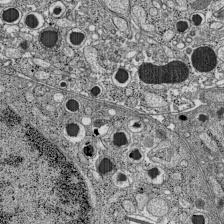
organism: C57BL Mouse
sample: Pancreatic islet